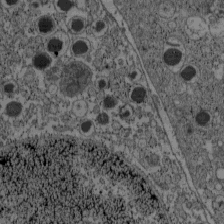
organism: C57BL Mouse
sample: Pancreatic islet